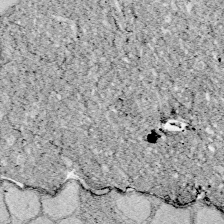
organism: Zebrafish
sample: Whole-Brain